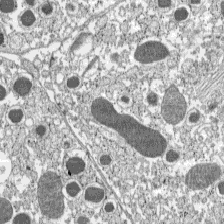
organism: C57BL Mouse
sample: Pancreatic islet